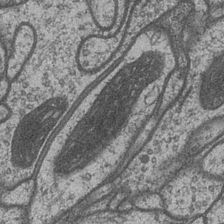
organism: Drosophila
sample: Optic medulla